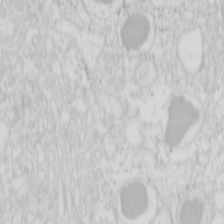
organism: Mouse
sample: Pancreas